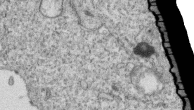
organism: Human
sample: HeLa cell HIV synapse